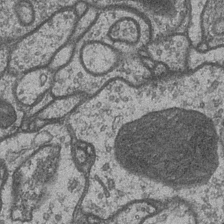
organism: Drosophila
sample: Optic medulla